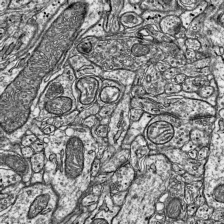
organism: Mouse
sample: Visual Cortex